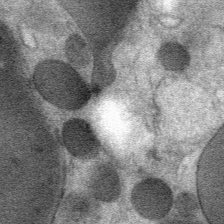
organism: Mouse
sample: Mouse Salivary gland